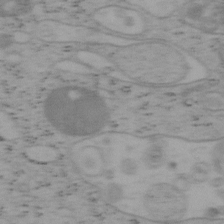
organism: Mouse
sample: OT-I killer T cells with ID8 ovarian cancer cells